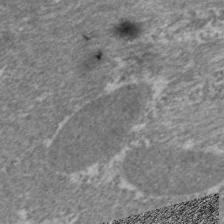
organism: C. elegans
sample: Pharynx